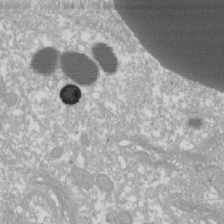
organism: Xenopus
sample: Cilia; centrioles in frog embryo cells